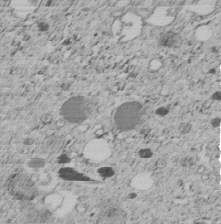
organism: C. elegans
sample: C. elegans embryo early stage